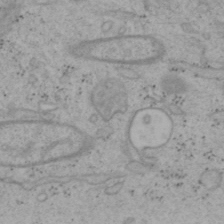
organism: Human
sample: HeLa cells